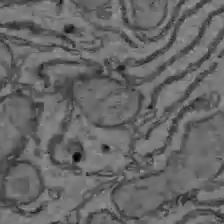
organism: C57BL Mouse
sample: Liver